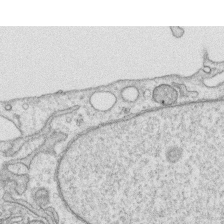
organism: Human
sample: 1205lu cells